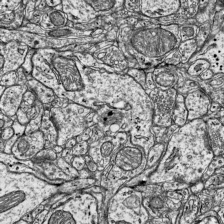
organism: Mouse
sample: Visual Cortex